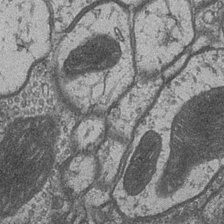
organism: Drosophila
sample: Optic medulla